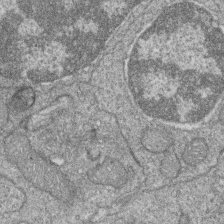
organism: Zebrafish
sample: Cilia; retinal pigment epithelium